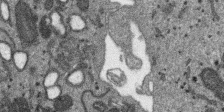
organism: Human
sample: Lung epithelial cells infected with SARS-CoV-2